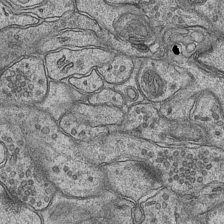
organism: Mouse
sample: CA1 Hippocampus